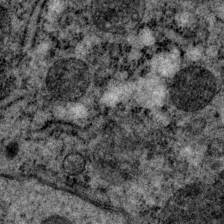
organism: P. pacificus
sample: Pharynx